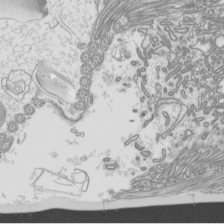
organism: Mouse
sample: Cilia; mouse epididymis